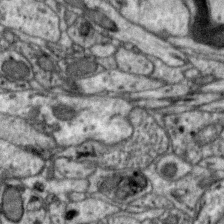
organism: Zebra finch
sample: Brain